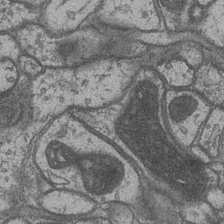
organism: Drosophila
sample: Optic medulla